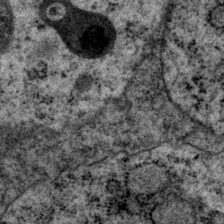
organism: P. pacificus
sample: Pharynx